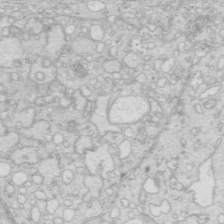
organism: Mouse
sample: Multiciliated cells